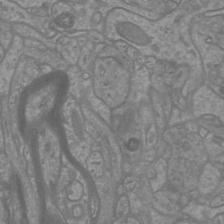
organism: Mouse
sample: Cortical neurons